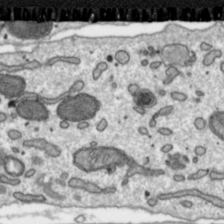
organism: Toxoplasma gondii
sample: Parasites in a vacuole inside a host cell